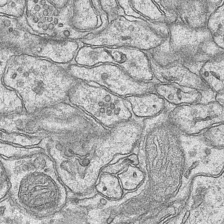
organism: Mouse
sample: CA1 Hippocampus